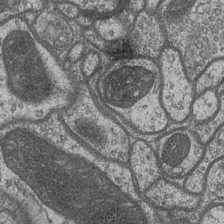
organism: Drosophila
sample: Optic medulla